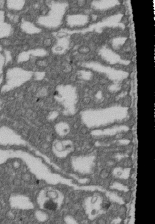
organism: Drosophila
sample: Nephrocyte